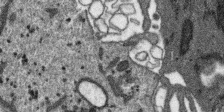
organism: Human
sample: Lung epithelial cells infected with SARS-CoV-2